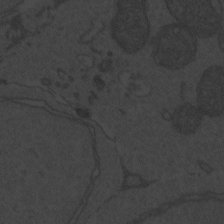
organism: Zebrafish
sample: Macrophage infected with Toxoplasma gondii